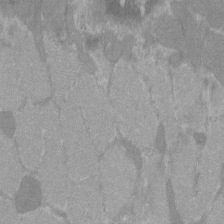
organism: C57BL Mouse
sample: Tibialis anterior muscle cell